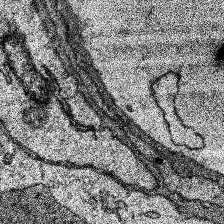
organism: Human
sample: Temporal Lobe